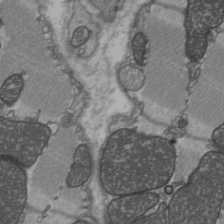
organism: C57BL Mouse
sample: Heart